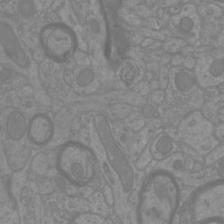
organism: Mouse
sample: Cortical neurons